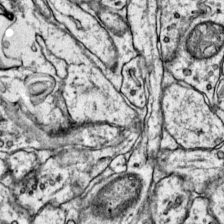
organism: Mouse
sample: Primary visual cortex